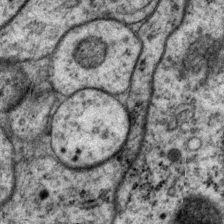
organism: P. pacificus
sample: Pharynx